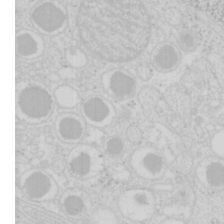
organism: Mouse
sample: Pancreas